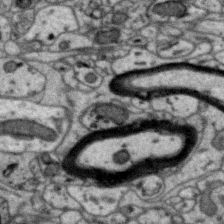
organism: Zebra finch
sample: Brain